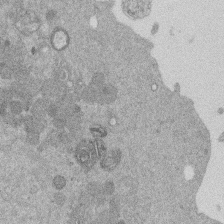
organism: Mouse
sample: Dividing mouse embryo 1 cell stage